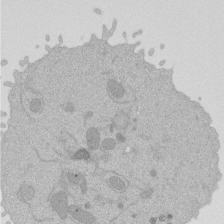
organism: Mouse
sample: Activated Pmel transgenic CD8+ T Cells